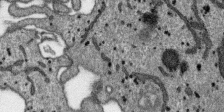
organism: Human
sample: Lung epithelial cells, uninfected (mock) control